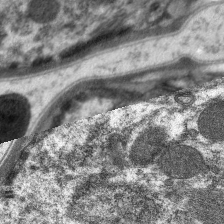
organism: C. elegans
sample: Pharynx